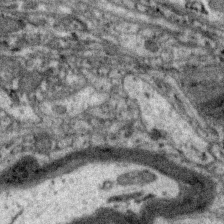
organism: Zebra finch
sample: Brain